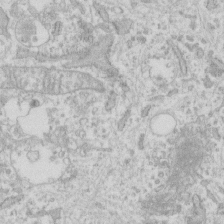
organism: Human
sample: Fibroblast cells